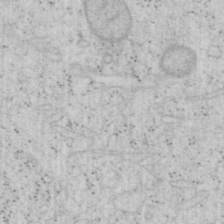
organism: Human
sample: HeLa cells